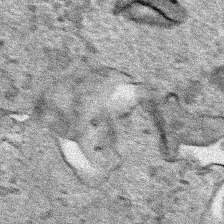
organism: Human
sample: Mitochondria in HCT116 cells